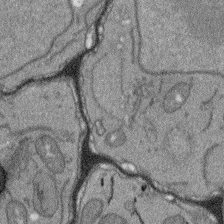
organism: Arabidopsis thaliana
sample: Root tip